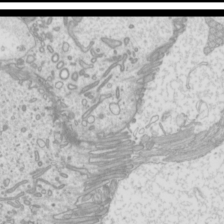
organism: Mouse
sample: Cilia; mouse epididymis